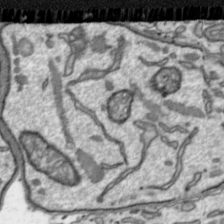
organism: Toxoplasma gondii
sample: Parasites in a vacuole inside a host cell